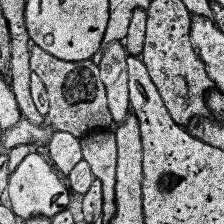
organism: Human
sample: Temporal Lobe